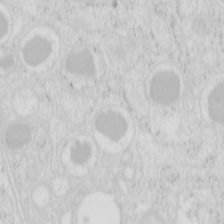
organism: Mouse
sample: Pancreas